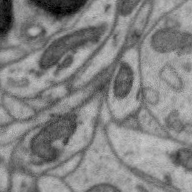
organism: Zebra finch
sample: Brain